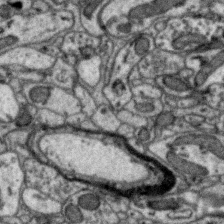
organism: Zebra finch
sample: Brain